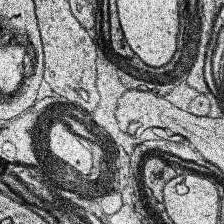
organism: Human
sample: Temporal Lobe